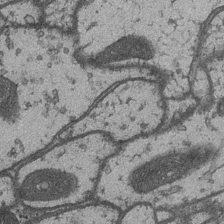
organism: Drosophila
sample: Optic medulla